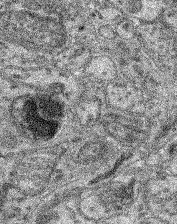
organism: Mouse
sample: Retina